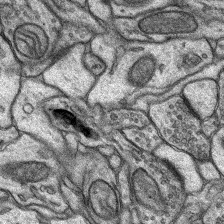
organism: Rat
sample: Hippocampus